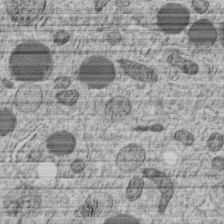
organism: C. elegans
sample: C. elegans embryo early stage